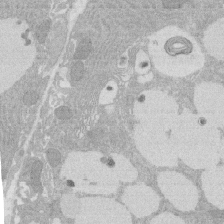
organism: Rat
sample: Salivary granule